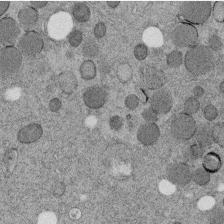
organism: C. elegans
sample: C. elegans embryo early stage